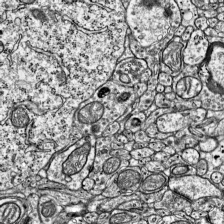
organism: Mouse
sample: Visual Cortex